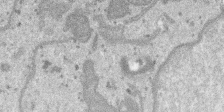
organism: Human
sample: Lung epithelial cells infected with SARS-CoV-2